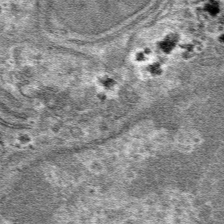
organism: Mouse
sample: Mouse hepatocytes